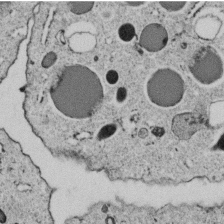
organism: C. elegans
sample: C. elegans embryo early stage